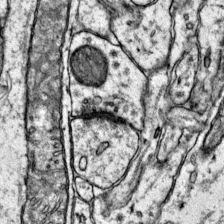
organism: Mouse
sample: Primary visual cortex